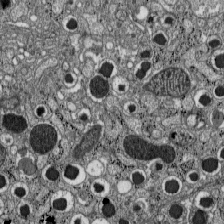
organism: C57BL Mouse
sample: Pancreatic islet